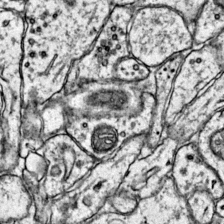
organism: Mouse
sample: Primary visual cortex